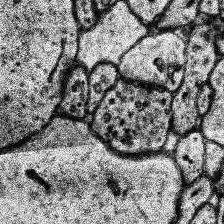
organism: Human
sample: Temporal Lobe